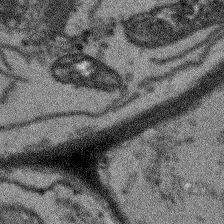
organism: Arabidopsis thaliana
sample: Root tip